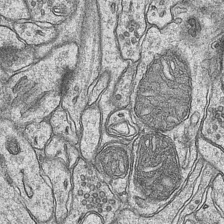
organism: Mouse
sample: CA1 Hippocampus